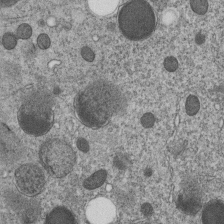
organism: C. elegans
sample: C. elegans embryo early stage